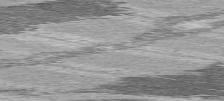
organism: C57BL Mouse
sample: Heart